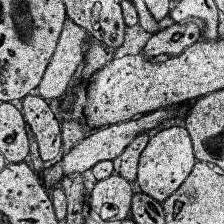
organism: Human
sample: Temporal Lobe